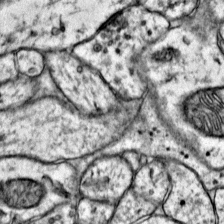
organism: Mouse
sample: Primary visual cortex